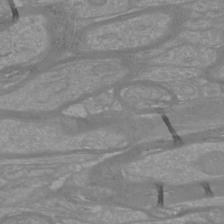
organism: Mouse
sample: Cortical neurons